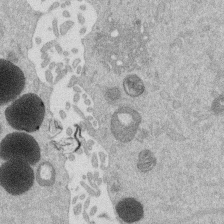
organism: Mouse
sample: Dividing mouse embryo 1 cell stage